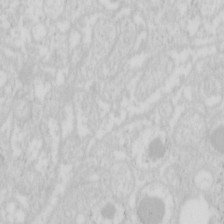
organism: Mouse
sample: Pancreas